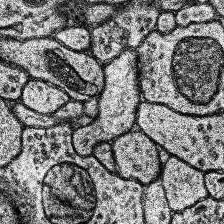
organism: Human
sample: Temporal Lobe